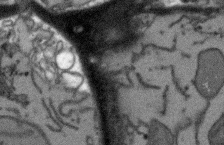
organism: Arabidopsis thaliana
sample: Root tip